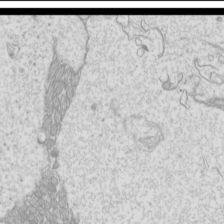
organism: Mouse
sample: Cilia; mouse epididymis